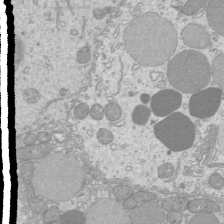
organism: Mouse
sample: Cilia; mouse epididymis